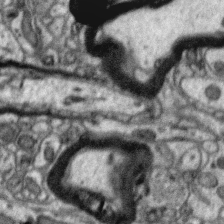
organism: Zebra finch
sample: Brain